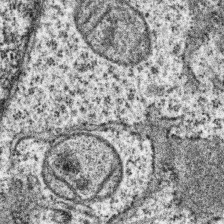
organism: Human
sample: HeLa cells